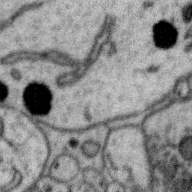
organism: Zebra finch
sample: Brain